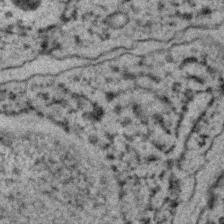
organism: C. elegans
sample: C. elegans embryo